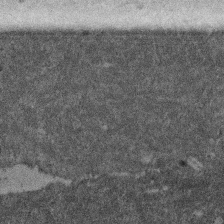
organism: Mouse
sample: Dividing mouse embryo 1 cell stage